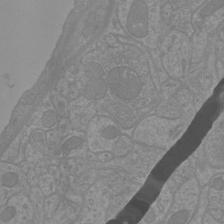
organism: Mouse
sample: Cortical neurons